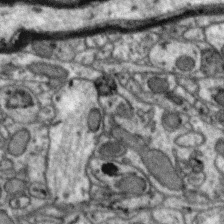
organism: Zebra finch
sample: Brain